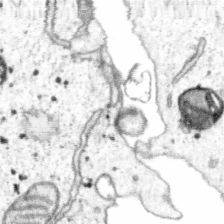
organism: Human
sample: HeLa cells